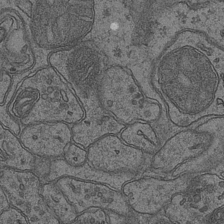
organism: Mouse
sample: CA1 Hippocampus